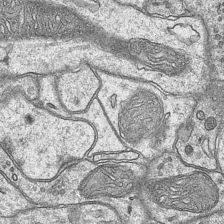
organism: Mouse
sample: CA1 Hippocampus